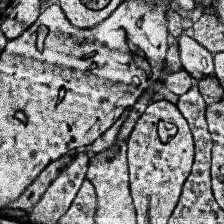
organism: Human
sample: Temporal Lobe